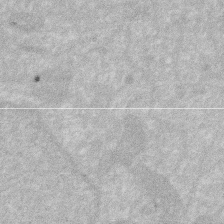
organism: Human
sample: HIV infected U937 cells